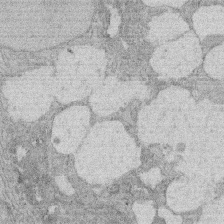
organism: Rat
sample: Salivary granule